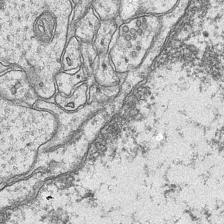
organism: Mouse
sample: CA1 Hippocampus